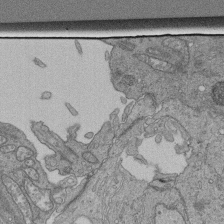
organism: Human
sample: Retinal organoid Rod and Cone cells